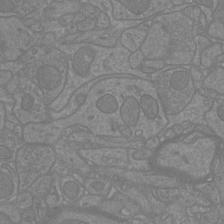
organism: Mouse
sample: Cortical neurons